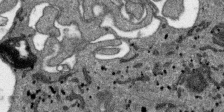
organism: Human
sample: Lung epithelial cells, uninfected (mock) control